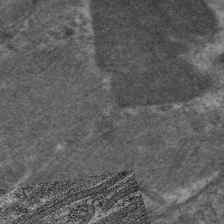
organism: C. elegans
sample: Pharynx